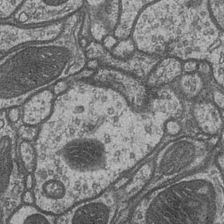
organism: Drosophila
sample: Optic medulla